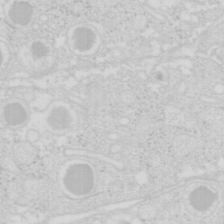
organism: Mouse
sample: Pancreas